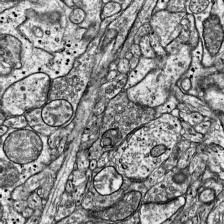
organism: Mouse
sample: Visual Cortex